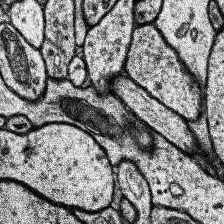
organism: Human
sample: Temporal Lobe